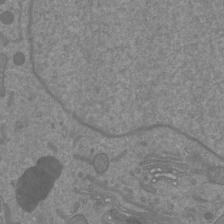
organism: Mouse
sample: Cortical neurons